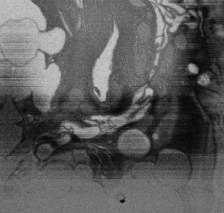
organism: Rat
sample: Salivary granule